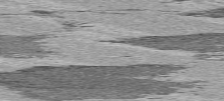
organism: C57BL Mouse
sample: Heart